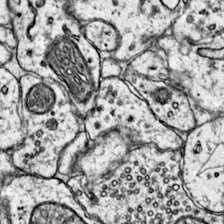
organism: Mouse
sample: Primary visual cortex